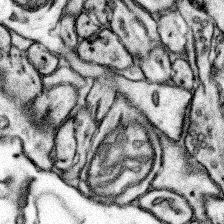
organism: Mouse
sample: Somatosensory cortex neuropil